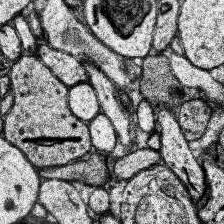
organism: Human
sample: Temporal Lobe